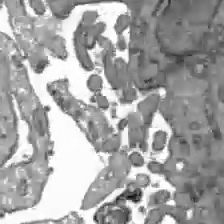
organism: C57BL Mouse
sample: Liver